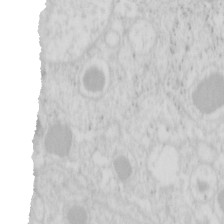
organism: Mouse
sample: Pancreas